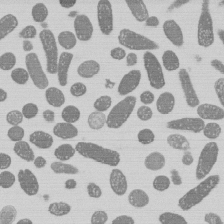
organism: E. coli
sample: Bacterial nucleoid